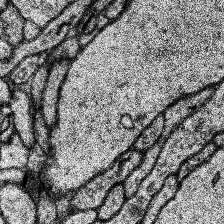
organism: Human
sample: Temporal Lobe